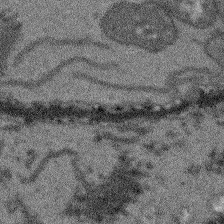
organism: Arabidopsis thaliana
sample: Root tip